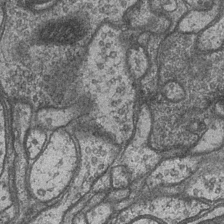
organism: Drosophila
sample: Optic medulla